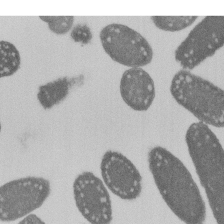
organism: E. coli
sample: Bacterial nucleoid